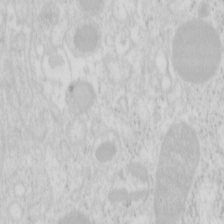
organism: Mouse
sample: Pancreas